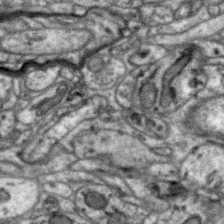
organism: Zebra finch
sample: Brain